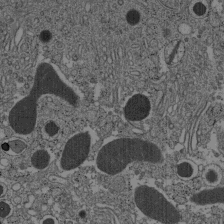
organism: C57BL Mouse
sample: Pancreatic islet